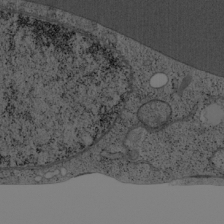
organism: African green monkey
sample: COS-7 cells